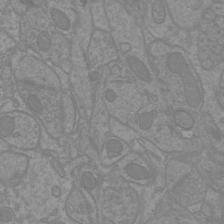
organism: Mouse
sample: Cortical neurons